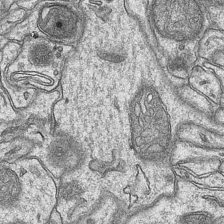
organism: Mouse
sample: CA1 Hippocampus